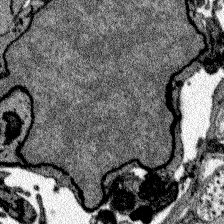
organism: Zebrafish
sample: Larval olfactory bulb